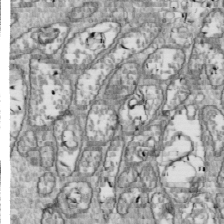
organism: Drosophila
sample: Cell division; meiosis; drosophila spermatocytes